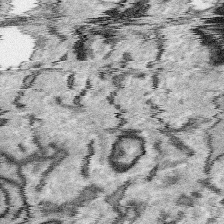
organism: Human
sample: HeLa cells